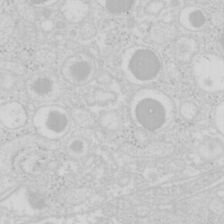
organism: Mouse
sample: Pancreas